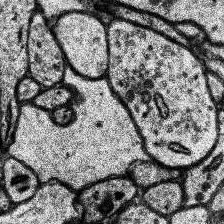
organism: Human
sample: Temporal Lobe